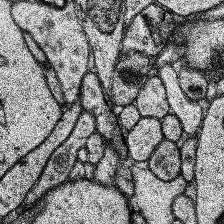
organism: Human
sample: Temporal Lobe